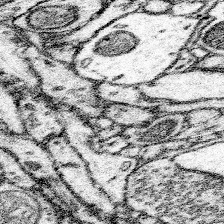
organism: Mouse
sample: Somatosensory cortex neuropil